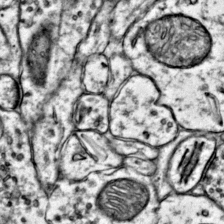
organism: Mouse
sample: Primary visual cortex